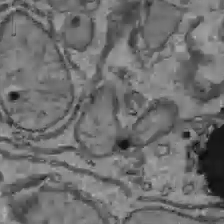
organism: C57BL Mouse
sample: Liver